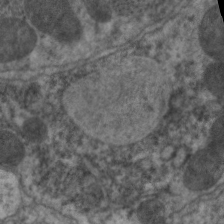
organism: C. elegans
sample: Pharynx